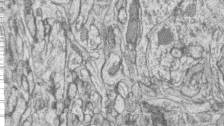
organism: Zebrafish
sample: synaptic ribbons in rod cells and cone cells